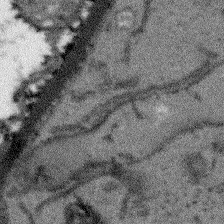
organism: Arabidopsis thaliana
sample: Root tip